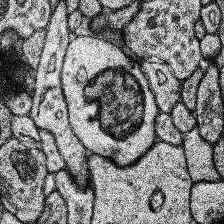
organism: Human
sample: Temporal Lobe